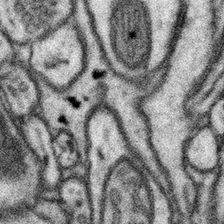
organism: Mouse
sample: Somatosensory cortex neuropil